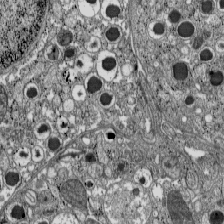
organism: C57BL Mouse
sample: Pancreatic islet